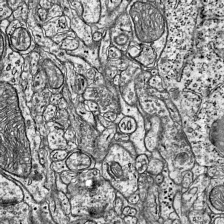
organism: Mouse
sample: Visual Cortex